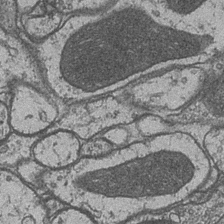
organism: Drosophila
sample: Optic medulla